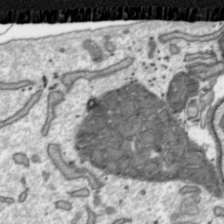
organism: Toxoplasma gondii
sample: Parasites in a vacuole inside a host cell